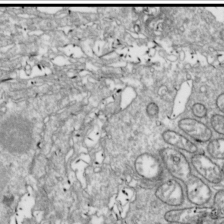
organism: Drosophila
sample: Cell division; meiosis; drosophila spermatocytes